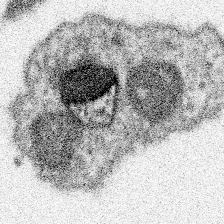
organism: Spongilla lacustris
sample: Neuroid cell